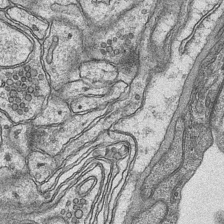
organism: Mouse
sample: CA1 Hippocampus